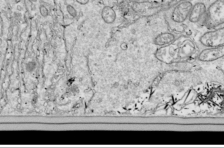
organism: Drosophila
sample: Cell division; meiosis; drosophila spermatocytes